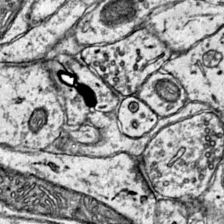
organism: Mouse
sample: Primary visual cortex